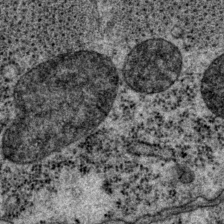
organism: P. pacificus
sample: Pharynx